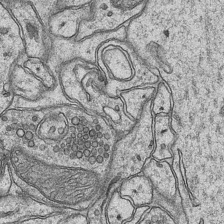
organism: Mouse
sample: CA1 Hippocampus